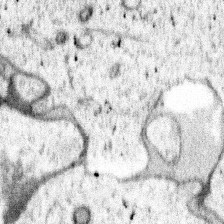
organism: Human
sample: HeLa cells